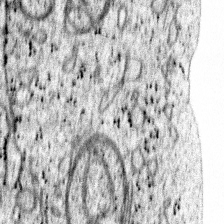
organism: Human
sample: HeLa cells